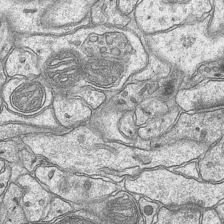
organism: Mouse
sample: CA1 Hippocampus